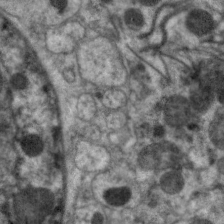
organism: C. elegans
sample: Pharynx